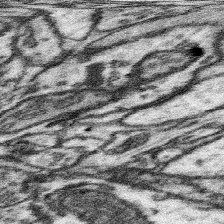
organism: Mouse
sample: Somatosensory cortex neuropil